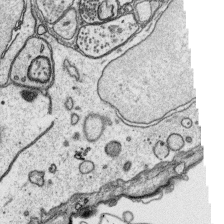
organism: Platynereis dumerilii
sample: Parapodia